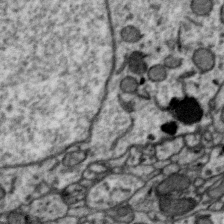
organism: Zebra finch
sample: Brain